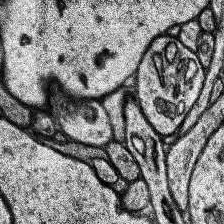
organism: Human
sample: Temporal Lobe